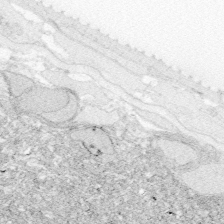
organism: Zebrafish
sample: Whole-Brain